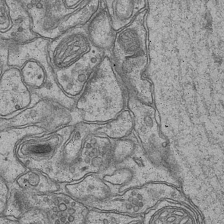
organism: Mouse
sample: CA1 Hippocampus